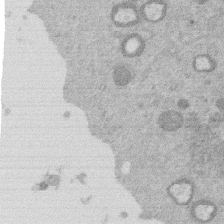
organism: Mouse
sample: Dividing mouse embryo 1 cell stage